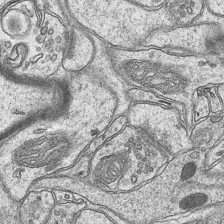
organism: Mouse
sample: CA1 Hippocampus